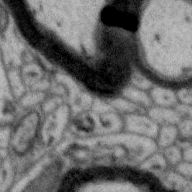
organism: Zebra finch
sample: Brain